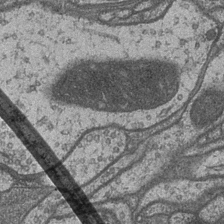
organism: Drosophila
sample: Optic medulla